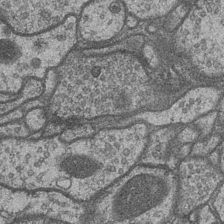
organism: Drosophila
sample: Optic medulla